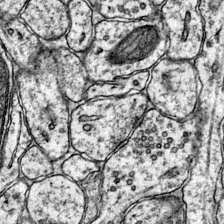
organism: Mouse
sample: Primary visual cortex